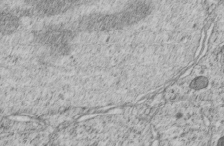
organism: C. elegans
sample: C. elegans embryo early stage